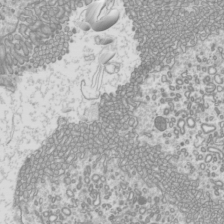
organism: Mouse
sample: Cilia; mouse epididymis